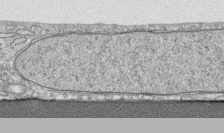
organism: Human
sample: CRL-1474